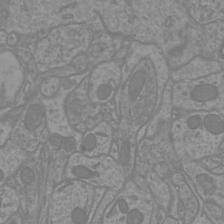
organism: Mouse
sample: Cortical neurons